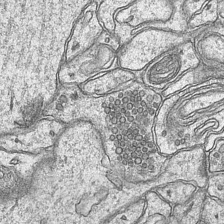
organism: Mouse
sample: CA1 Hippocampus